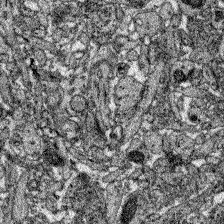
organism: Zebrafish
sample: Larval olfactory bulb